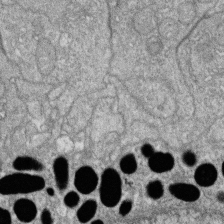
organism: Zebrafish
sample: Cilia; retinal pigment epithelium